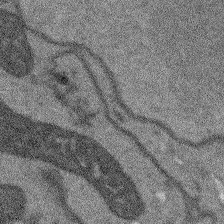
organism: Arabidopsis thaliana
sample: Root tip